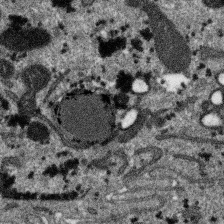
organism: Human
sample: Lung epithelial cells infected with SARS-CoV-2